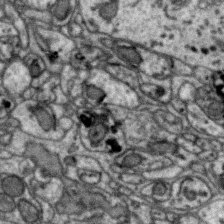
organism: Zebra finch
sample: Brain